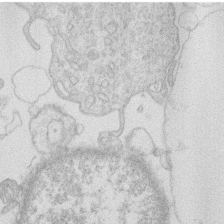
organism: Human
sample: Macrophage cells